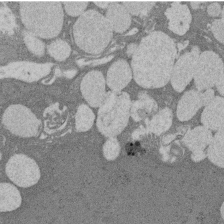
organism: Rat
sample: Salivary granule